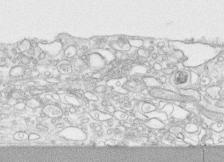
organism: Human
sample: CRL-1474